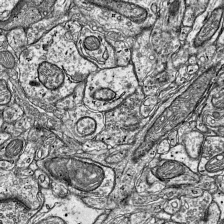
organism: Mouse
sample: Visual Cortex